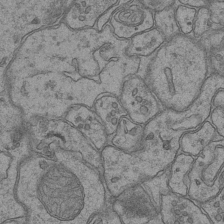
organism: Mouse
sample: CA1 Hippocampus